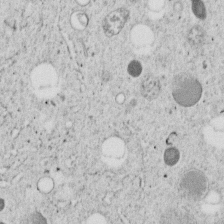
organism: C. elegans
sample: C. elegans embryo early stage